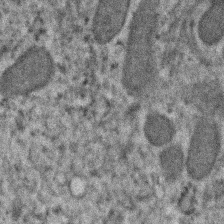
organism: Human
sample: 1205lu cells